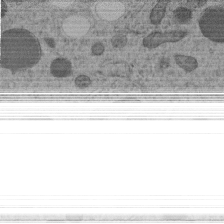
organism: C. elegans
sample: C. elegans embryo early stage